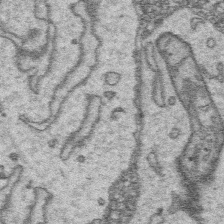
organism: Platynereis dumerilii